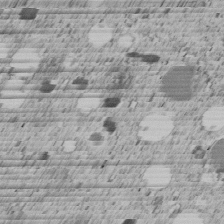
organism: C. elegans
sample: C. elegans embryo early stage